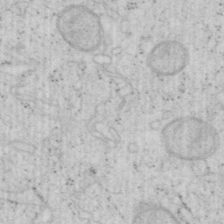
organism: Human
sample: HeLa cells